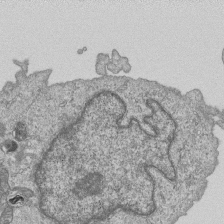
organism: Human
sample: MDA-MB-231 cells